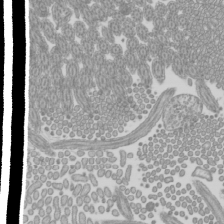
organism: Mouse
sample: Cilia; mouse epididymis